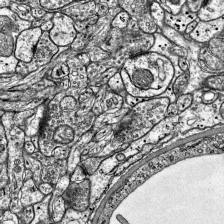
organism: Mouse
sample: Visual Cortex